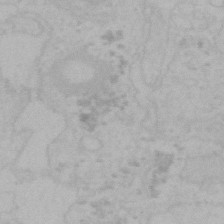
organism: Mouse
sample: Choroid plexus